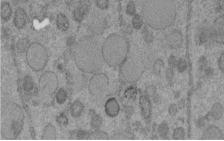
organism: C. elegans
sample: C. elegans embryo early stage